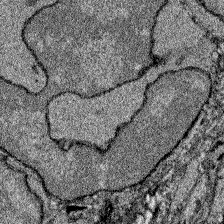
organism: Zebrafish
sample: Larval olfactory bulb